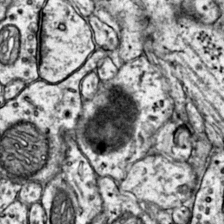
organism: Mouse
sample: Primary visual cortex